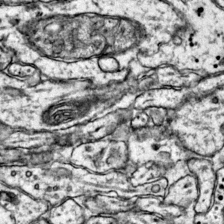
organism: Mouse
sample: Primary visual cortex